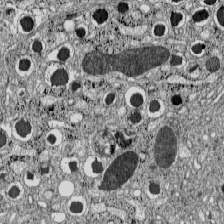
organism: C57BL Mouse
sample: Pancreatic islet